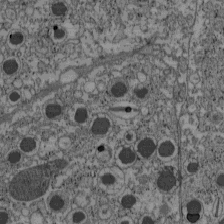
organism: C57BL Mouse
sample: Pancreatic islet